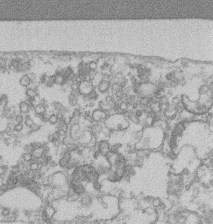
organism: Mouse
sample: T cell stromal cell synapse